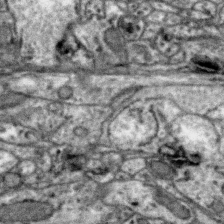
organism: Zebra finch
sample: Brain